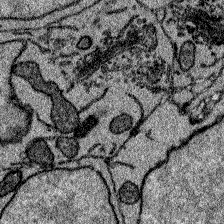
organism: Zebrafish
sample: Larval olfactory bulb